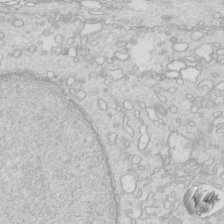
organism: Mouse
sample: Multiciliated cells